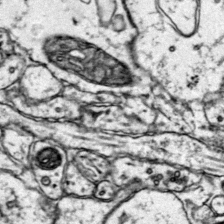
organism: Mouse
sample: Primary visual cortex